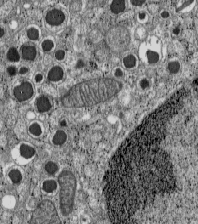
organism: C57BL Mouse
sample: Pancreatic islet